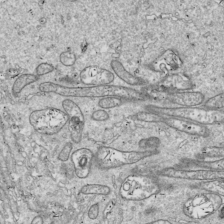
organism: Drosophila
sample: Cell division; meiosis; drosophila spermatocytes